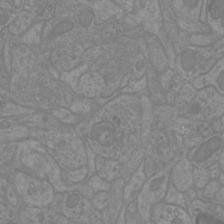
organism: Mouse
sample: Cortical neurons